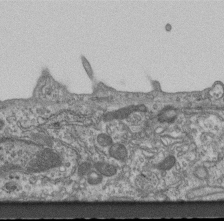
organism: Mouse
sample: Centriole in ependymal cells